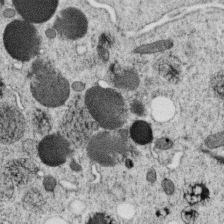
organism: C. elegans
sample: C. elegans oocyte; sperm cells